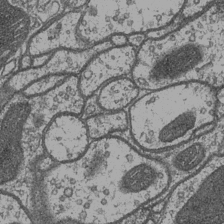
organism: Drosophila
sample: Optic medulla